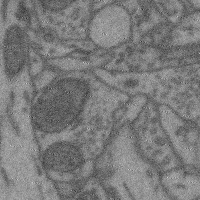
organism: Mouse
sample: Cerebral cortex